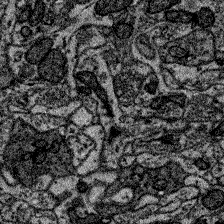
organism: Zebrafish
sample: Larval olfactory bulb